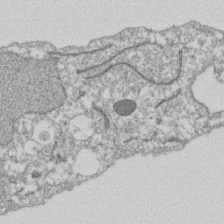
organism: Dictyostelium discoideum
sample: Dictyostelium multivesicular bodies